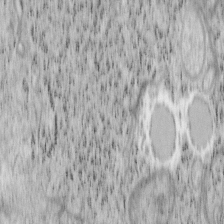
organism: Human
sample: HeLa cells